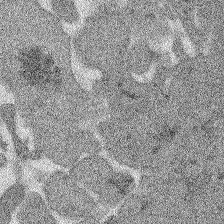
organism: Human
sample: HeLa cells